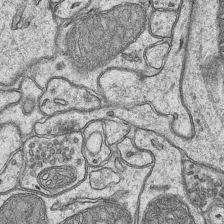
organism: Mouse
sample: CA1 Hippocampus